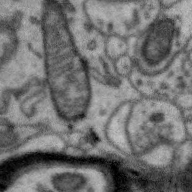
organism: Zebra finch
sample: Brain